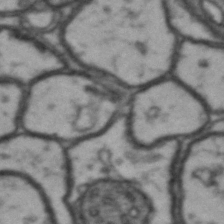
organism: Drosophila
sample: Brain